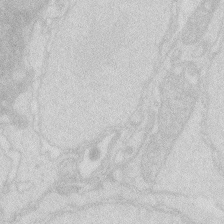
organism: Zebrafish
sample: Macrophage